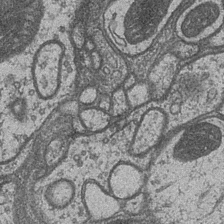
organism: Drosophila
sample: Optic medulla